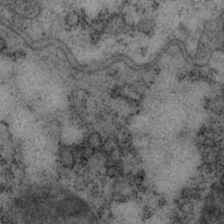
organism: P. pacificus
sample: Pharynx